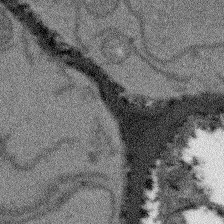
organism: Arabidopsis thaliana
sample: Root tip